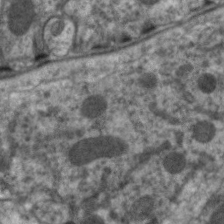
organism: C. elegans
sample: Pharynx